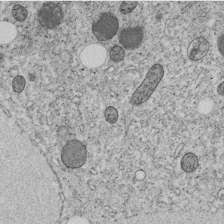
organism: C. elegans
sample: C. elegans embryo early stage